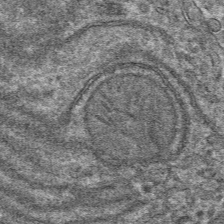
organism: Mouse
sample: Mouse hepatocytes